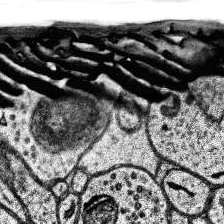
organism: Human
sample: Temporal Lobe